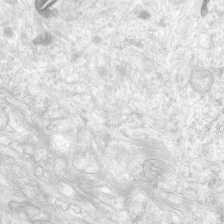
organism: Human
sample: Neocortex